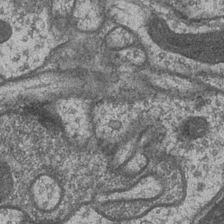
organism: Drosophila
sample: Optic medulla